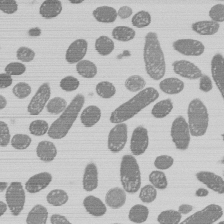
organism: E. coli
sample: Bacterial nucleoid